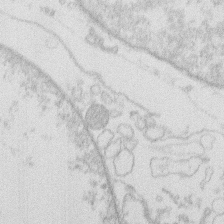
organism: Human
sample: Macrophage cells